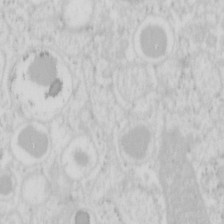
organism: Mouse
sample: Pancreas